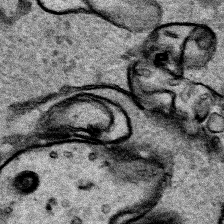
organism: Human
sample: Mitochondria in HCT116 cells